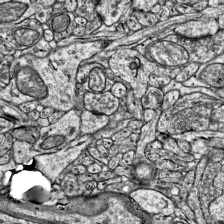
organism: Mouse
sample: Visual Cortex